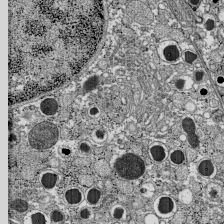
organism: C57BL Mouse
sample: Pancreatic islet